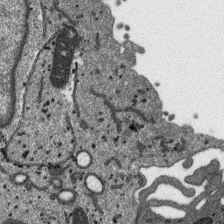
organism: Human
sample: Lung epithelial cells infected with SARS-CoV-2